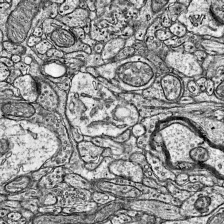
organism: Mouse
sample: Visual Cortex